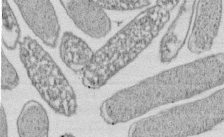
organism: E. coli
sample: Bacterial nucleoid